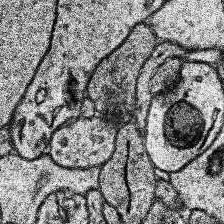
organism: Human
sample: Temporal Lobe